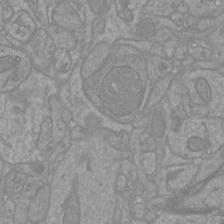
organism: Mouse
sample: Cortical neurons